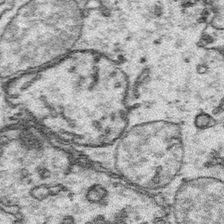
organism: Platynereis dumerilii